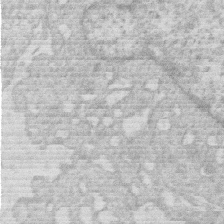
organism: Human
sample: Macrophage cells